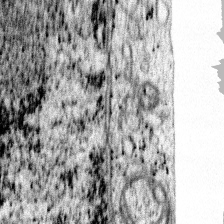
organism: Human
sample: HeLa cells